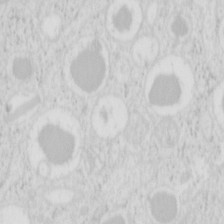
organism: Mouse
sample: Pancreas